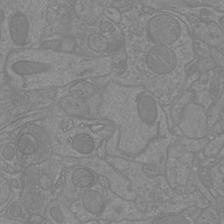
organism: Mouse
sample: Cortical neurons